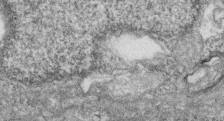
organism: Zebrafish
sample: Cilia; retinal pigment epithelium